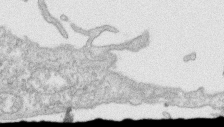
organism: Human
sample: HeLa cell HIV synapse